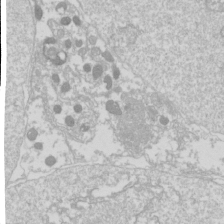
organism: Drosophila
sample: Cell division; meiosis; drosophila spermatocytes